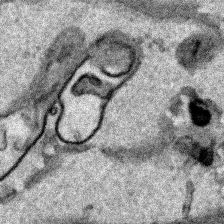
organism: Human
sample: Mitochondria in HCT116 cells